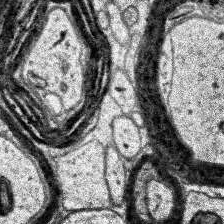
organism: Human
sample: Temporal Lobe